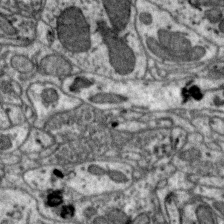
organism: Zebra finch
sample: Brain